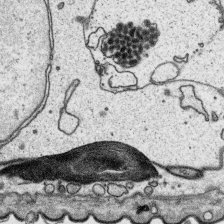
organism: Platynereis dumerilii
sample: Parapodia